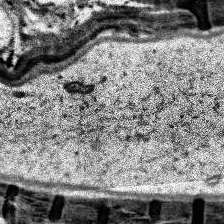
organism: Human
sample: Temporal Lobe